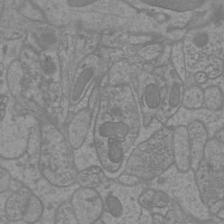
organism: Mouse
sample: Cortical neurons